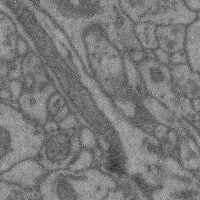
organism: Mouse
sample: Cerebral cortex